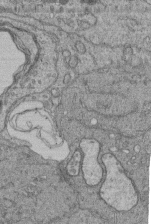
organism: Human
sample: Retinal organoid Rod and Cone cells